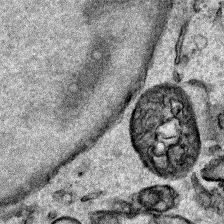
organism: Human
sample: Mitochondria in HCT116 cells